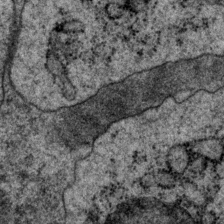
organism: P. pacificus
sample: Pharynx